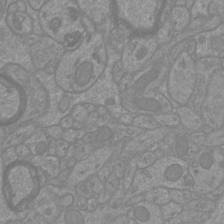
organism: Mouse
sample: Cortical neurons